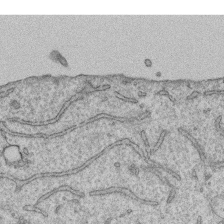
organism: Human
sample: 1205lu cells